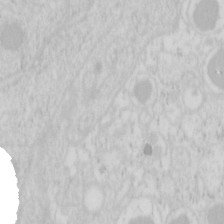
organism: Mouse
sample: Pancreas